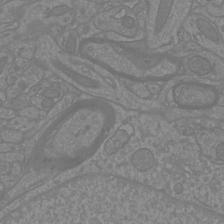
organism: Mouse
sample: Cortical neurons